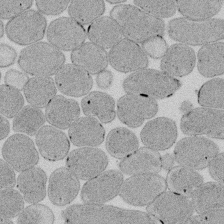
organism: E. coli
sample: Bacterial nucleoid